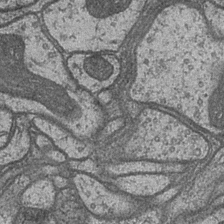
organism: Drosophila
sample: Optic medulla